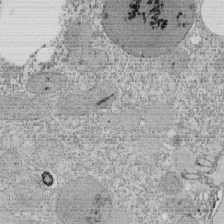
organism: Tetrahymena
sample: Cilia in tetrahymena